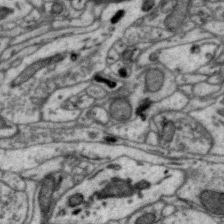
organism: Zebra finch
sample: Brain